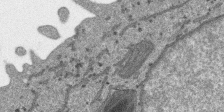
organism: Human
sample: Lung epithelial cells infected with SARS-CoV-2